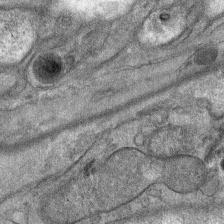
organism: Mouse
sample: Mouse Salivary gland